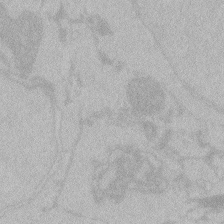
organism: Zebrafish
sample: Macrophage infected with Toxoplasma gondii